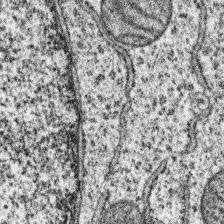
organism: Human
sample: HeLa cells